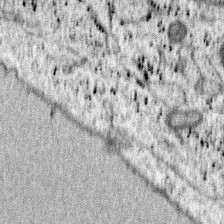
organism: Human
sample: HeLa cells